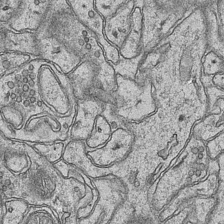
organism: Mouse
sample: CA1 Hippocampus